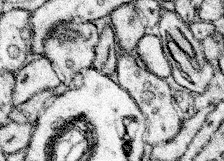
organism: Mouse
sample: Somatosensory cortex neuropil